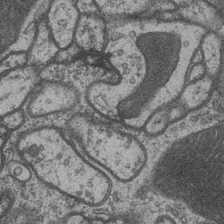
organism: Drosophila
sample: Optic medulla